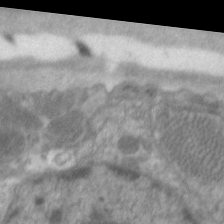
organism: C. elegans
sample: Pharynx